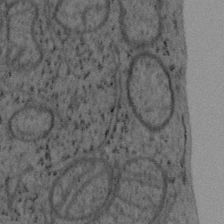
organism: Human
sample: HeLa cells